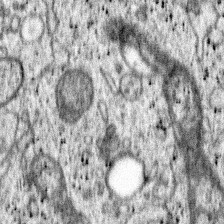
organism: Human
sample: HeLa cells